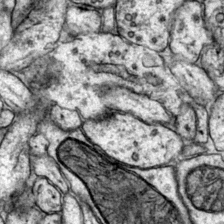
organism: Mouse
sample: Primary visual cortex